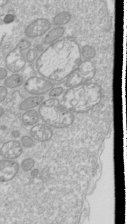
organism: Drosophila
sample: Cell division; meiosis; drosophila spermatocytes